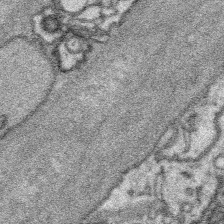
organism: Platynereis dumerilii